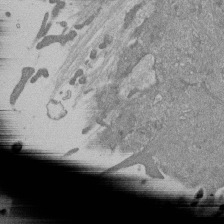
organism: Mouse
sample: ED-1 cell nuclei; centrioles